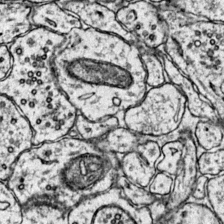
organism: Mouse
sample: Primary visual cortex